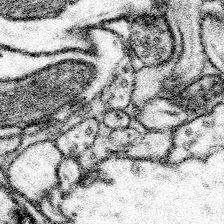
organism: Mouse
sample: Somatosensory cortex neuropil